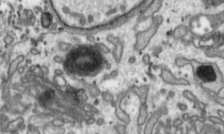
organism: Toxoplasma gondii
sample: Parasites in a vacuole inside a host cell